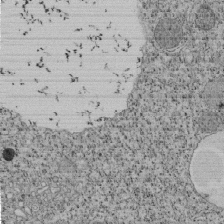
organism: Tetrahymena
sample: Cilia in tetrahymena